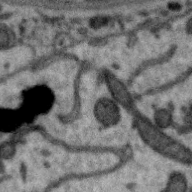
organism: Zebra finch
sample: Brain